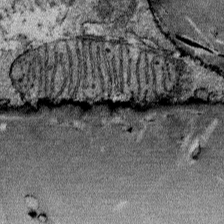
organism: Mouse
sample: Mouse Salivary gland